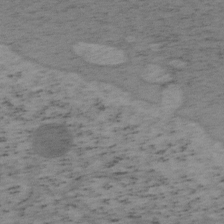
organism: Mouse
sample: OT-I killer T cells with ID8 ovarian cancer cells